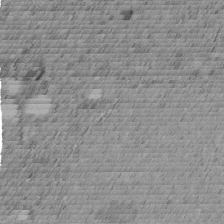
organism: C. elegans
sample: C. elegans embryo early stage